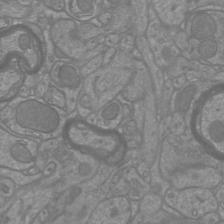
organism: Mouse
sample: Cortical neurons